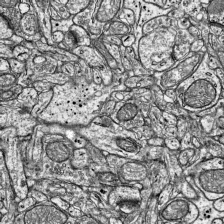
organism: Mouse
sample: Visual Cortex